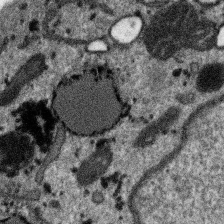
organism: Human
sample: Lung epithelial cells infected with SARS-CoV-2